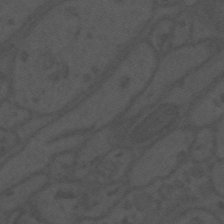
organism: Mouse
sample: Suprachiasmatic nucleus